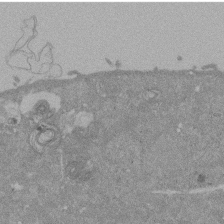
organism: Mouse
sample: ED-1 cell nuclei; centrioles